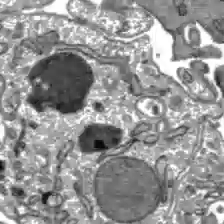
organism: C57BL Mouse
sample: Liver